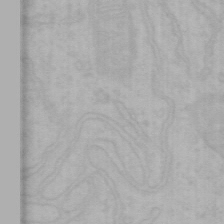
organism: Mouse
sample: Choroid plexus